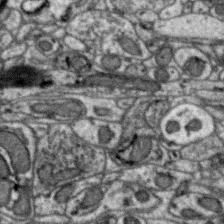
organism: Zebra finch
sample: Brain